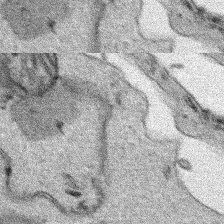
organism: Human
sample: Mitochondria in HCT116 cells